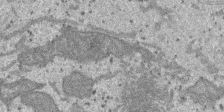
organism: Human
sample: Lung epithelial cells infected with SARS-CoV-2